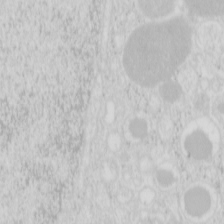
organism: Mouse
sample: Pancreas